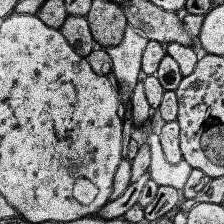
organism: Human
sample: Temporal Lobe